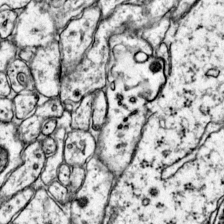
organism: Mouse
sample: Primary visual cortex